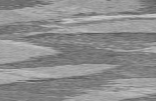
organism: C57BL Mouse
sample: Heart